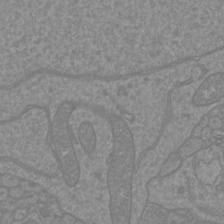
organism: Mouse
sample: Cortical neurons